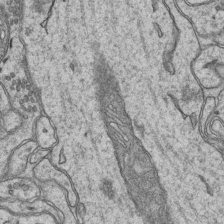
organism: Mouse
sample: CA1 Hippocampus